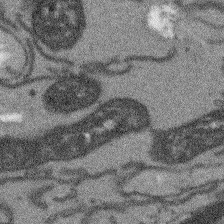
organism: Arabidopsis thaliana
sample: Root tip